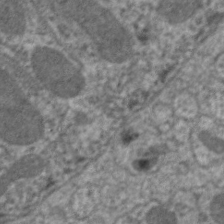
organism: C. elegans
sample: Pharynx